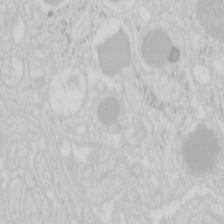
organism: Mouse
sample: Pancreas